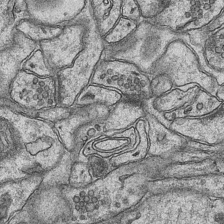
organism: Mouse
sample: CA1 Hippocampus